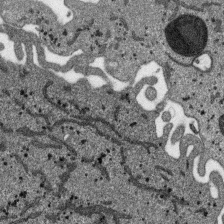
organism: Human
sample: Lung epithelial cells infected with SARS-CoV-2